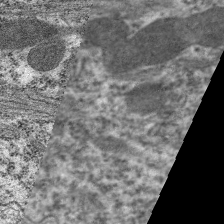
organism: C. elegans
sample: Pharynx